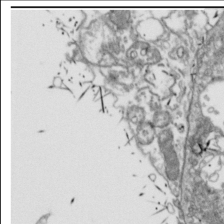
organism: Drosophila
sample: Cell division; meiosis; drosophila spermatocytes